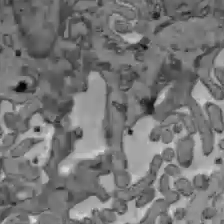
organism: C57BL Mouse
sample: Liver